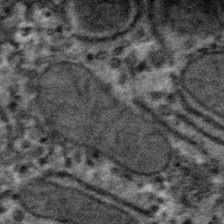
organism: Mouse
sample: Mouse hepatocytes